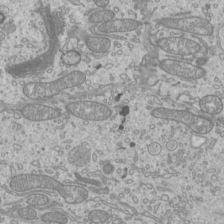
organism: Mouse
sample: Cilia; mouse epididymis